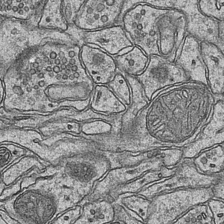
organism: Mouse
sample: CA1 Hippocampus